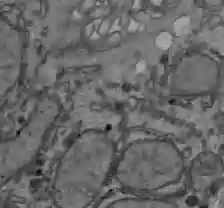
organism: C57BL Mouse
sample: Liver